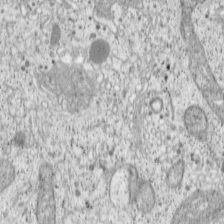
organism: African green monkey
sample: COS-7 cells